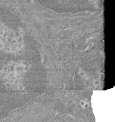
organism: Mouse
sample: Glomerulus